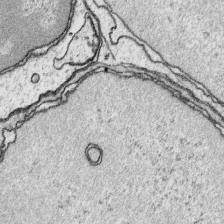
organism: Platynereis dumerilii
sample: Parapodia